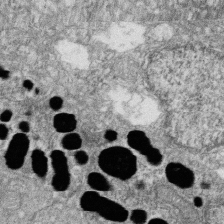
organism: Zebrafish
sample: Cilia; retinal pigment epithelium